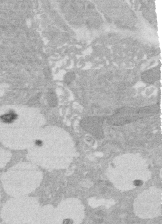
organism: Rat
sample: Salivary granule